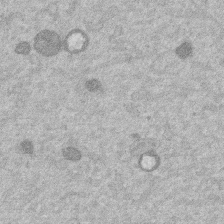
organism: Mouse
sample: Dividing mouse embryo 1 cell stage